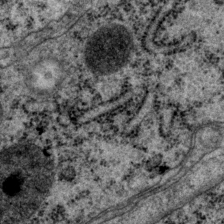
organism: P. pacificus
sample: Pharynx